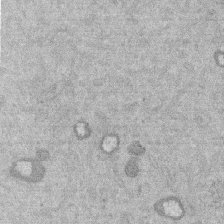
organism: Mouse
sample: Dividing mouse embryo 1 cell stage